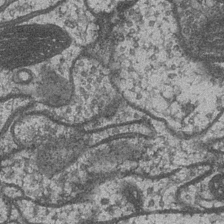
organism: Drosophila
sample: Optic medulla